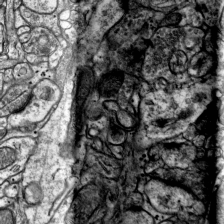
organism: Mouse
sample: Visual Cortex